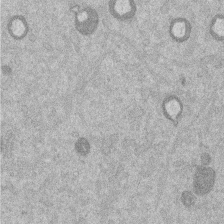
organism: Mouse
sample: Dividing mouse embryo 1 cell stage